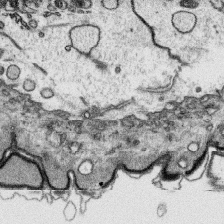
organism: Platynereis dumerilii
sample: Parapodia